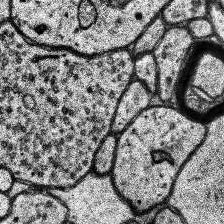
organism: Human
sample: Temporal Lobe